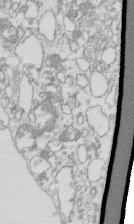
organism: Mouse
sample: Macrophages